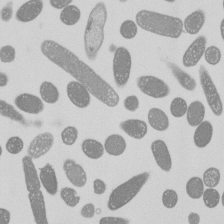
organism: E. coli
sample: Bacterial nucleoid